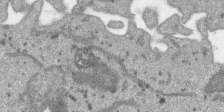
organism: Human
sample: Lung epithelial cells infected with SARS-CoV-2